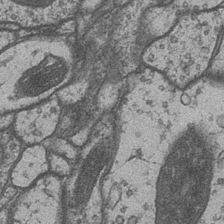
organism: Drosophila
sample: Optic medulla